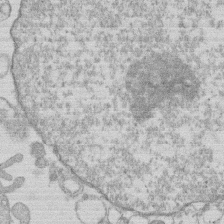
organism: Human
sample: Macrophage cells